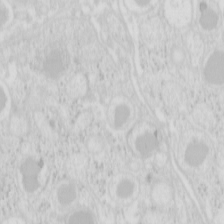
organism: Mouse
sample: Pancreas